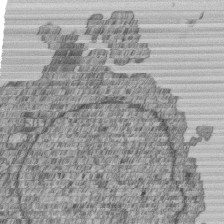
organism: Human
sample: MDA-MB-231 cells